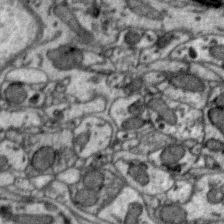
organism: Zebra finch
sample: Brain